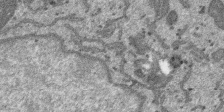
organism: Human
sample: Lung epithelial cells infected with SARS-CoV-2